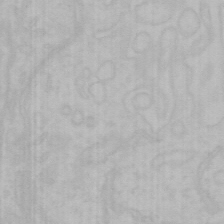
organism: Mouse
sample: Choroid plexus